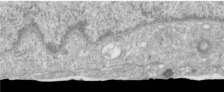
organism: Human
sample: Centriole in RPE cells